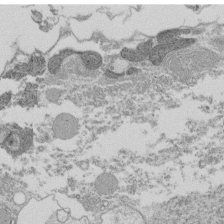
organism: Tetrahymena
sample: Cilia in tetrahymena